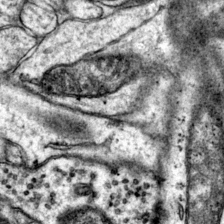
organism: Mouse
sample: Primary visual cortex